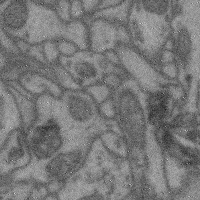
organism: Mouse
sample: Cerebral cortex